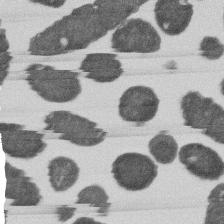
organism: E. coli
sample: Bacterial nucleoid